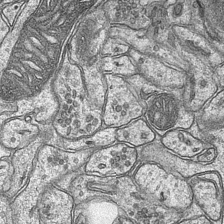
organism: Mouse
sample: CA1 Hippocampus